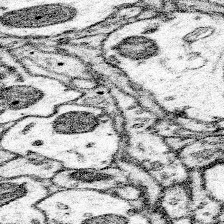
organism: Mouse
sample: Somatosensory cortex neuropil